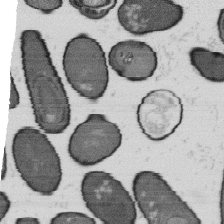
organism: B. subtilis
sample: Bacterial spore